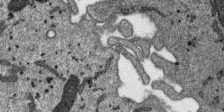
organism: Human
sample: Lung epithelial cells infected with SARS-CoV-2